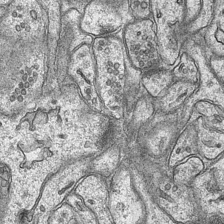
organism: Mouse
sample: CA1 Hippocampus